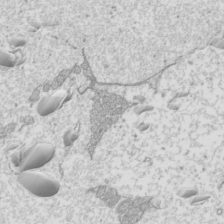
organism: Mouse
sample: Cilia; mouse epididymis